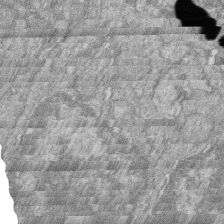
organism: Zebrafish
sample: Cilia; retinal pigment epithelium